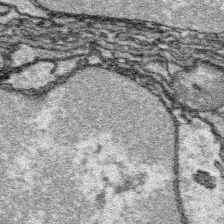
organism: Platynereis dumerilii